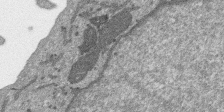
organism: Human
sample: Lung epithelial cells infected with SARS-CoV-2